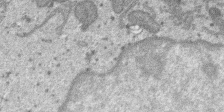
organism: Human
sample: Lung epithelial cells infected with SARS-CoV-2